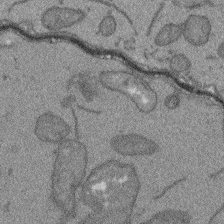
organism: Arabidopsis thaliana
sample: Root tip